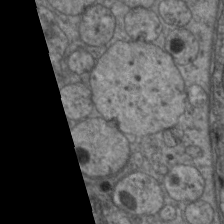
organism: C. elegans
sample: Pharynx